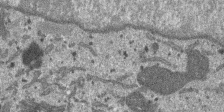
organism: Human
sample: Lung epithelial cells infected with SARS-CoV-2